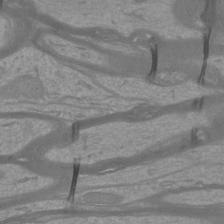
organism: Mouse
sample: Cortical neurons